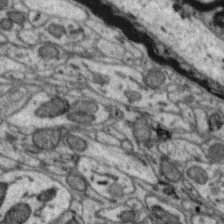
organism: Zebra finch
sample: Brain